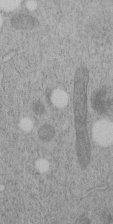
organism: C. elegans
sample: C. elegans embryo early stage